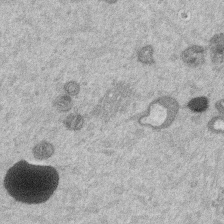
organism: Mouse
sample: Dividing mouse embryo 1 cell stage